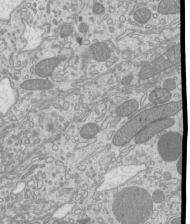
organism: Mouse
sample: Cilia; mouse epididymis